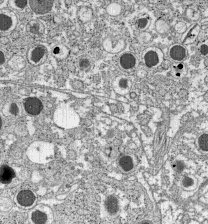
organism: C57BL Mouse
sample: Pancreatic islet